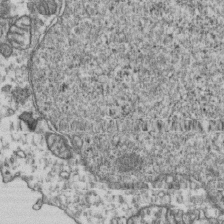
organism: Human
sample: Activated Jurkat CD4+ T cells